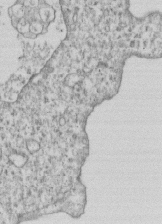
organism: Human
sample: MDA-MB-231 cells